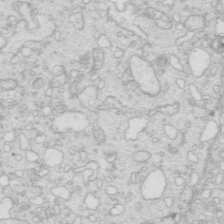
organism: Mouse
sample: Multiciliated cells